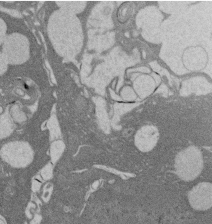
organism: Rat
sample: Salivary granule